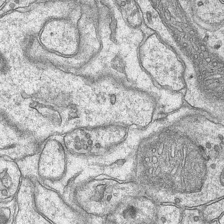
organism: Mouse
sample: CA1 Hippocampus